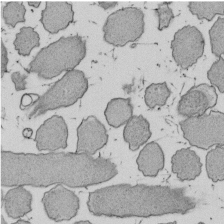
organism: E. coli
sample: Bacterial nucleoid